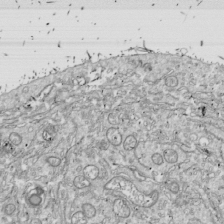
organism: Drosophila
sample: Cell division; meiosis; drosophila spermatocytes